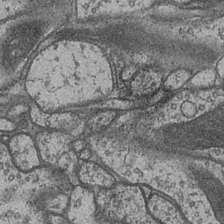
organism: Drosophila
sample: Optic medulla